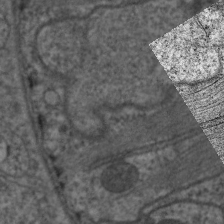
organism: C. elegans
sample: Pharynx